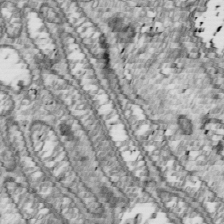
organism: Drosophila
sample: Cell division; meiosis; drosophila spermatocytes